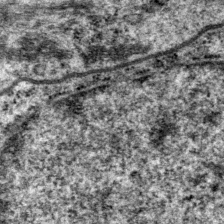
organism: P. pacificus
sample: Pharynx